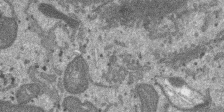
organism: Human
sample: Lung epithelial cells infected with SARS-CoV-2